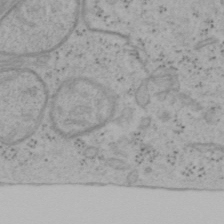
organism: Human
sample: HeLa cells